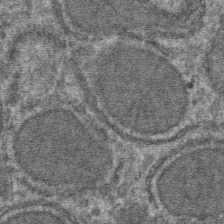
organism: Mouse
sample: Mouse hepatocytes